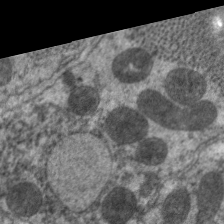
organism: C. elegans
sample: Pharynx